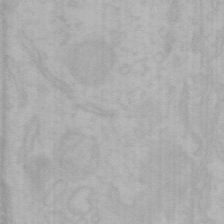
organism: Mouse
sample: Choroid plexus